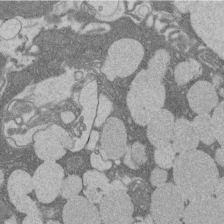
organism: Rat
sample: Salivary granule